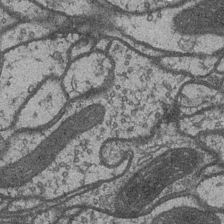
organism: Drosophila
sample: Optic medulla